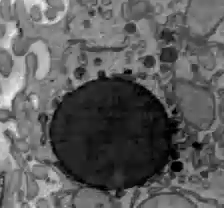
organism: C57BL Mouse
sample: Liver